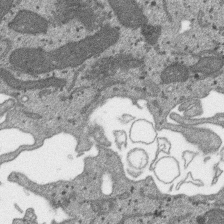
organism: Human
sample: Lung epithelial cells infected with SARS-CoV-2